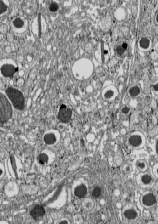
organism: C57BL Mouse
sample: Pancreatic islet